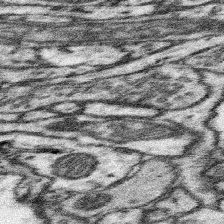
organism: Mouse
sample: Somatosensory cortex neuropil